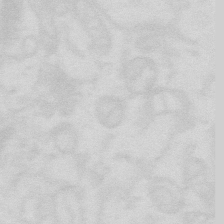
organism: Human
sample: HeLa cells